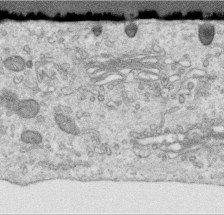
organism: Human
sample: Centriole in RPE cells